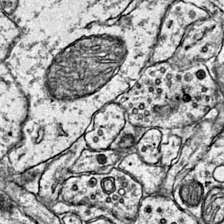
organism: Mouse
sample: Primary visual cortex